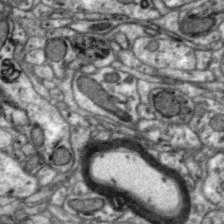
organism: Zebra finch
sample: Brain